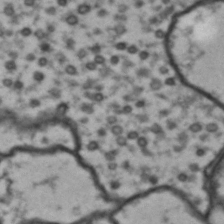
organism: Drosophila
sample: Brain